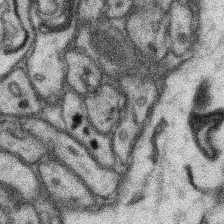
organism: Mouse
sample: Somatosensory cortex neuropil